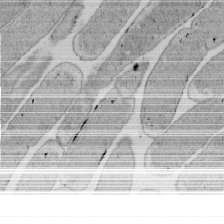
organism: E. coli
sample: Bacterial nucleoid